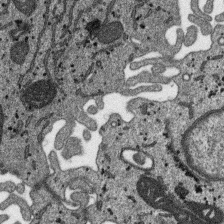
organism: Human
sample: Lung epithelial cells infected with SARS-CoV-2